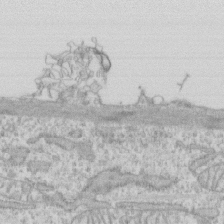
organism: Human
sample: CRL-1474